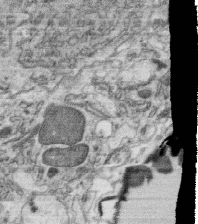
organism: C. elegans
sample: C. elegans oocyte; sperm cells